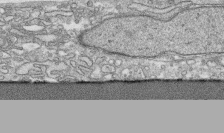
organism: Human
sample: CRL-1474